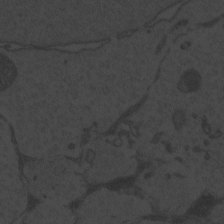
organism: Zebrafish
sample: Macrophage infected with Toxoplasma gondii